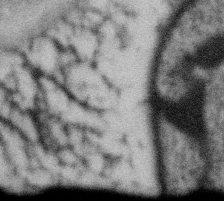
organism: Gemmata obscuriglobus